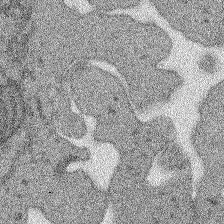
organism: Human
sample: HeLa cells